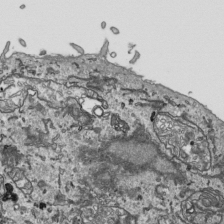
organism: Human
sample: Mitochondria in HCT116 cells